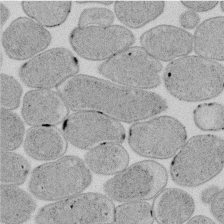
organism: E. coli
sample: Bacterial nucleoid